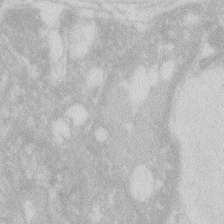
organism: Zebrafish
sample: Macrophage